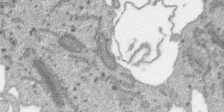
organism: Human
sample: Lung epithelial cells infected with SARS-CoV-2